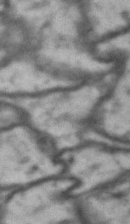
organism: Drosophila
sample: Brain